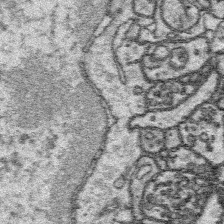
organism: Platynereis dumerilii